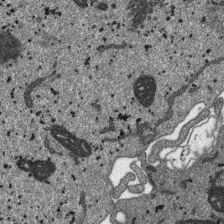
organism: Human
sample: Lung epithelial cells infected with SARS-CoV-2